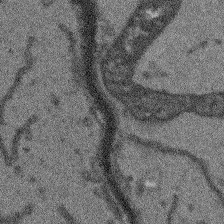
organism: Arabidopsis thaliana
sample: Root tip